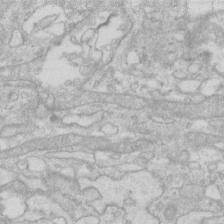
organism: Human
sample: Fibroblast cells